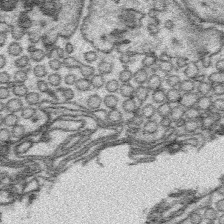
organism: Platynereis dumerilii